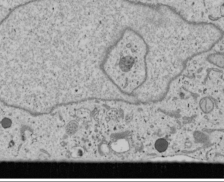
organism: Human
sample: Mitochondria in U2OS cells